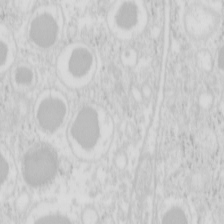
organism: Mouse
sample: Pancreas